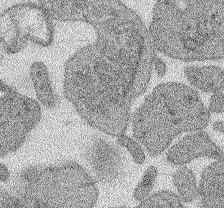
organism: Human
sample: HeLa cells